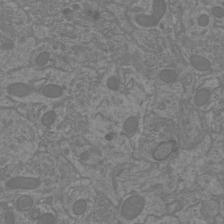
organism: Mouse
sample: Cortical neurons